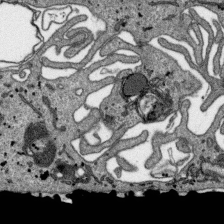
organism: Human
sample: Lung epithelial cells, uninfected (mock) control